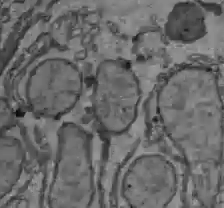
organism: C57BL Mouse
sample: Liver